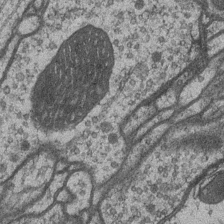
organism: Drosophila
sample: Optic medulla